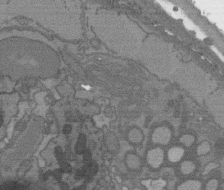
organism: C. elegans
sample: AFD neurons C. elegans